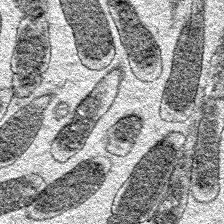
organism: E. coli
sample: E. Coli Bacteria